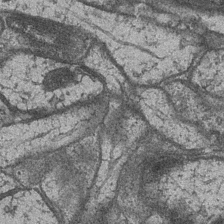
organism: Drosophila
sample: Optic medulla